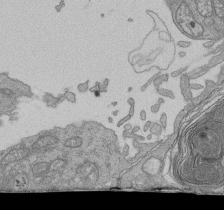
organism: Human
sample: Retinal organoid Rod and Cone cells